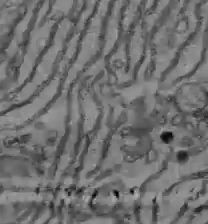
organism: C57BL Mouse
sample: Liver